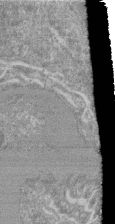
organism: Mouse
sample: Glomerulus